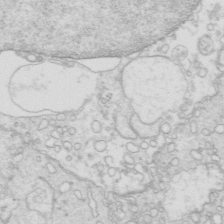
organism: Mouse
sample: Multiciliated cells